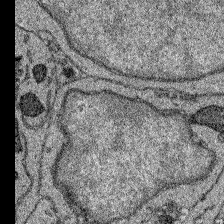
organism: Zebrafish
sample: Larval olfactory bulb